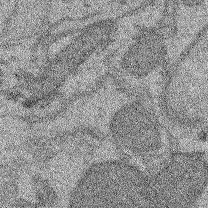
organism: Human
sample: HeLa cells